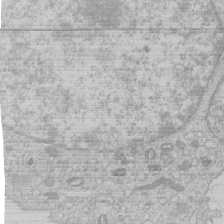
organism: Human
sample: Macrophage cells